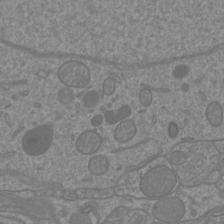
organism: Mouse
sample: Cortical neurons